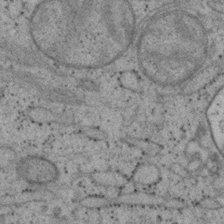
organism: Human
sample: HeLa cells